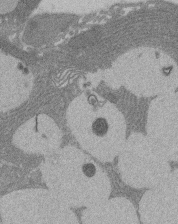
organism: Rat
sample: Salivary granule